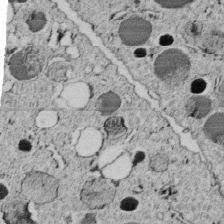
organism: C. elegans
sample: C. elegans embryo early stage